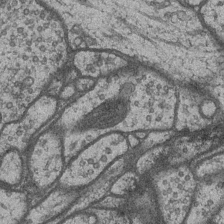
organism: Drosophila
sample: Optic medulla